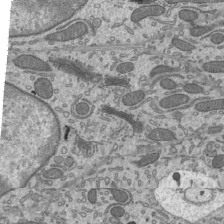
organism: Mouse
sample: Mouse epididymis efferent ductule cilia